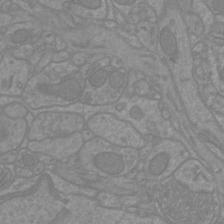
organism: Mouse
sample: Cortical neurons